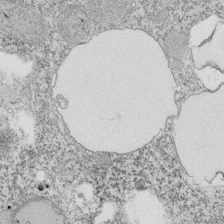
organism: Tetrahymena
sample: Cilia in tetrahymena